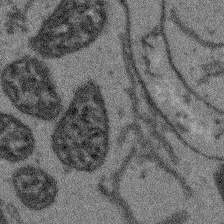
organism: Arabidopsis thaliana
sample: Root tip